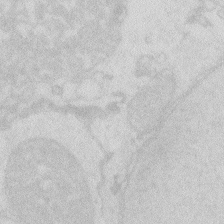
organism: Zebrafish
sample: Macrophage